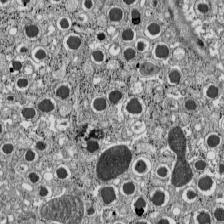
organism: C57BL Mouse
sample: Pancreatic islet